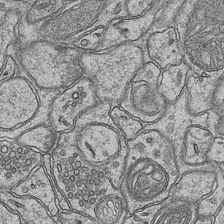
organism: Mouse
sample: CA1 Hippocampus